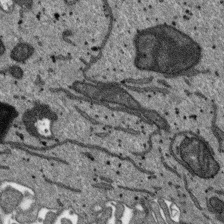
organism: Human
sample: Lung epithelial cells, uninfected (mock) control